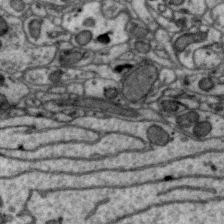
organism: Zebra finch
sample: Brain